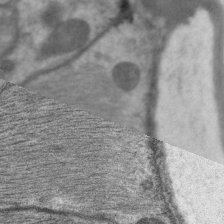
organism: C. elegans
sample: Pharynx